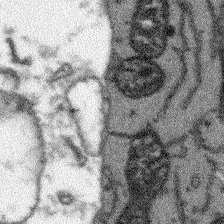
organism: Arabidopsis thaliana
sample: Root tip